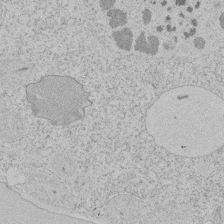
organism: Tetrahymena